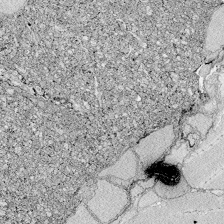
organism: Zebrafish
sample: Whole-Brain